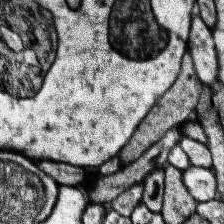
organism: Human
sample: Temporal Lobe